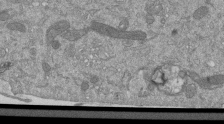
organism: Mouse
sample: ED-1 cell nuclei; centrioles